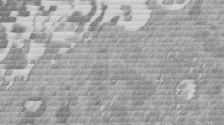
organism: Mouse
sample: Dividing mouse embryo 1 cell stage